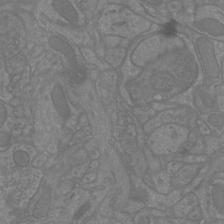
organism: Mouse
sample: Cortical neurons